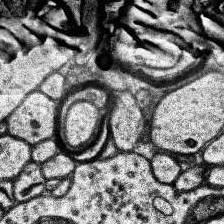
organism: Human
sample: Temporal Lobe